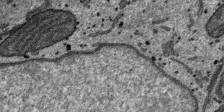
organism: Human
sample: Lung epithelial cells, uninfected (mock) control